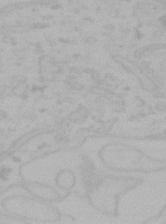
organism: Mouse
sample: Choroid plexus